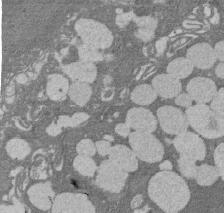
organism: Rat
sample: Salivary granule